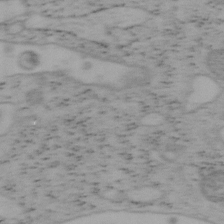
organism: Mouse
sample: OT-I killer T cells with ID8 ovarian cancer cells